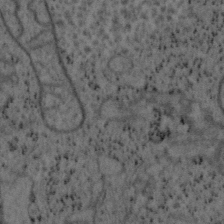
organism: Human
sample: HeLa cells